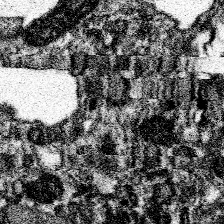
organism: Spongilla lacustris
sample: Neuroid cell